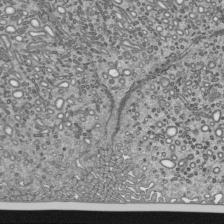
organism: Mouse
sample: Mouse epididymis efferent ductule cilia